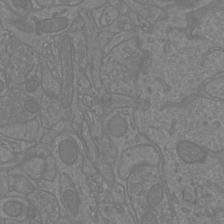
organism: Mouse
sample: Cortical neurons